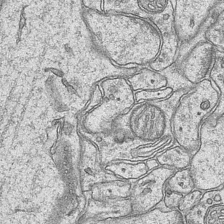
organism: Mouse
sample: CA1 Hippocampus